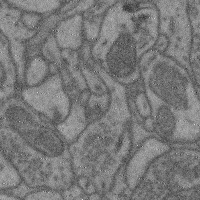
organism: Mouse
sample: Cerebral cortex